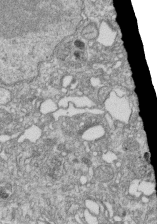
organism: Human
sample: HeLa cell HIV synapse